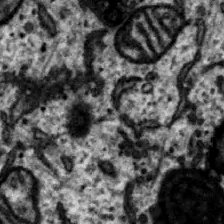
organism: Human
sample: HeLa cells